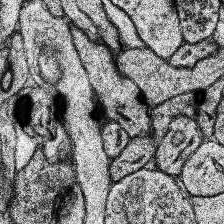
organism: Human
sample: Temporal Lobe